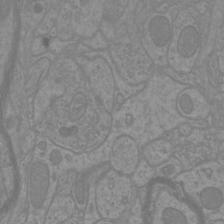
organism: Mouse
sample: Cortical neurons